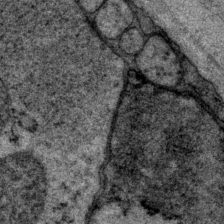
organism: P. pacificus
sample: Pharynx